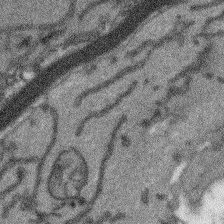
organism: Arabidopsis thaliana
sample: Root tip